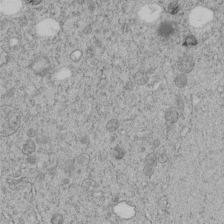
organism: C. elegans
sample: C. elegans embryo early stage